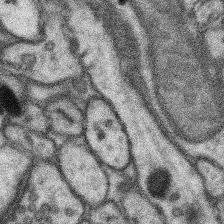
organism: Mouse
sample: Somatosensory cortex neuropil